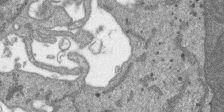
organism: Human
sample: Lung epithelial cells infected with SARS-CoV-2